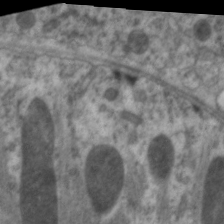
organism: C. elegans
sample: Pharynx